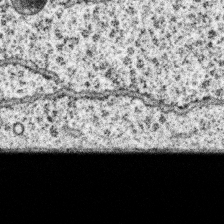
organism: Human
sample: HeLa cells